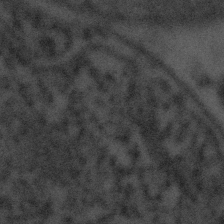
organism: Tuwongella immobilis